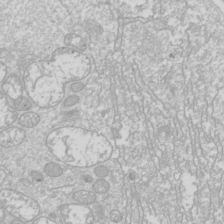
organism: Drosophila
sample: Cell division; meiosis; drosophila spermatocytes